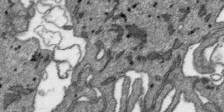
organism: Human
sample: Lung epithelial cells, uninfected (mock) control